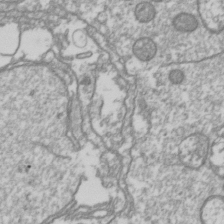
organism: Drosophila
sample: Cell division; meiosis; drosophila spermatocytes